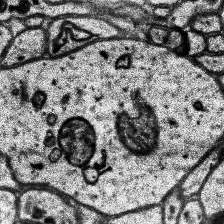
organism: Human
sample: Temporal Lobe